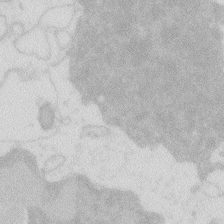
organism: Zebrafish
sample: Macrophage